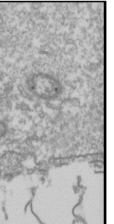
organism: Drosophila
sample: Cell division; meiosis; drosophila spermatocytes